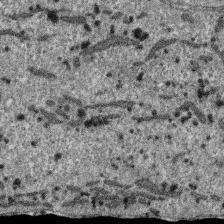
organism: Human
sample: Lung epithelial cells infected with SARS-CoV-2